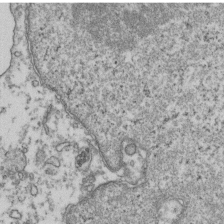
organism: Human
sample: Activated Jurkat CD4+ T cells